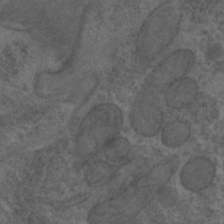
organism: C. elegans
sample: C. elegans embryo